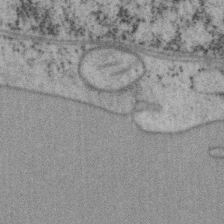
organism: Human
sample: HeLa cells